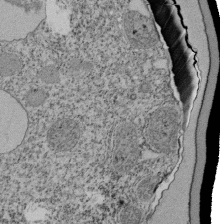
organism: Tetrahymena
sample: Cilia in tetrahymena